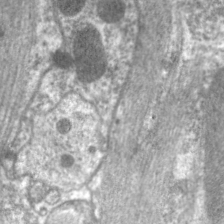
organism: C. elegans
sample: Pharynx